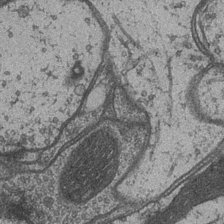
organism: Drosophila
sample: Optic medulla